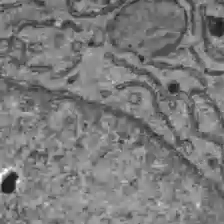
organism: C57BL Mouse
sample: Liver